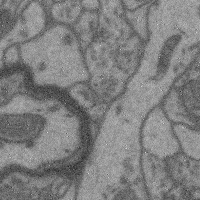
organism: Mouse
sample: Cerebral cortex